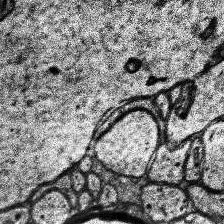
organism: Human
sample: Temporal Lobe